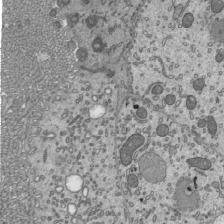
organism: Mouse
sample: Mouse epididymis efferent ductule cilia